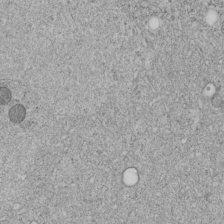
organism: C. elegans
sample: C. elegans embryo early stage